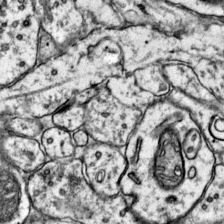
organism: Mouse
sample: Primary visual cortex